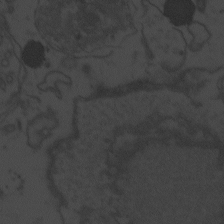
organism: Zebrafish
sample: Macrophage infected with Toxoplasma gondii